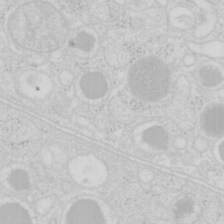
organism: Mouse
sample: Pancreas